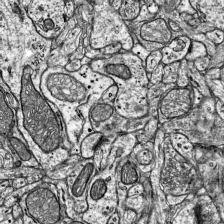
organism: Mouse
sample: Visual Cortex